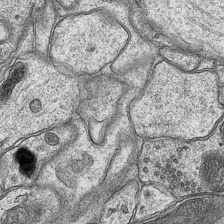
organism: Mouse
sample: CA1 Hippocampus